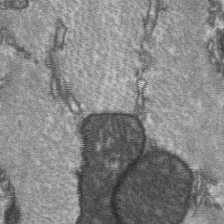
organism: C57BL Mouse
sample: Soleus